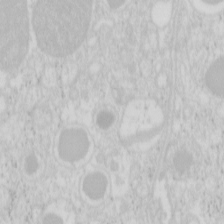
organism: Mouse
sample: Pancreas